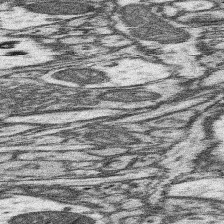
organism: Mouse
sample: Somatosensory cortex neuropil